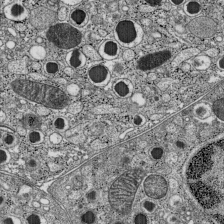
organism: C57BL Mouse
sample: Pancreatic islet